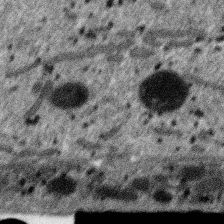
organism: Human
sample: Lung epithelial cells infected with SARS-CoV-2